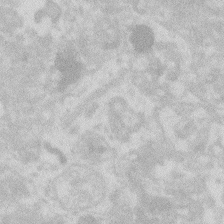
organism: Zebrafish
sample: Macrophage